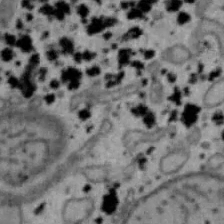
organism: Mouse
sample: Liver